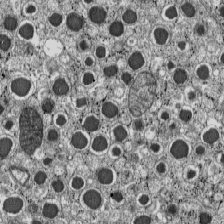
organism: C57BL Mouse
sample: Pancreatic islet